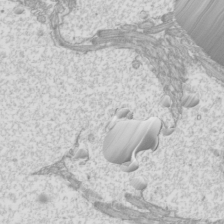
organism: Mouse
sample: Cilia; mouse epididymis